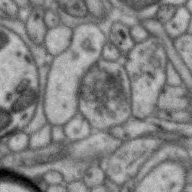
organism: Zebra finch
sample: Brain